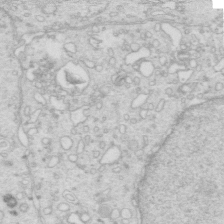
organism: Mouse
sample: Multiciliated cells